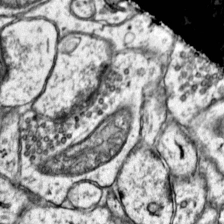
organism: Mouse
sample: Primary visual cortex